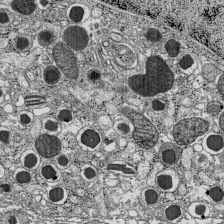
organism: C57BL Mouse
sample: Pancreatic islet